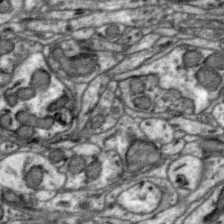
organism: Zebra finch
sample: Brain